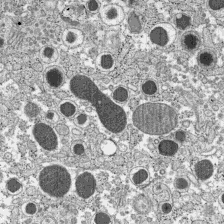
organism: C57BL Mouse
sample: Pancreatic islet